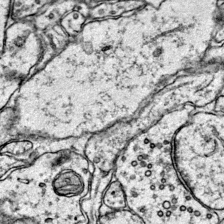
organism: Mouse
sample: Primary visual cortex